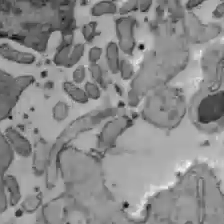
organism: C57BL Mouse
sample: Liver